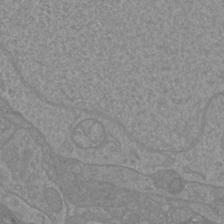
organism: Mouse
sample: Cortical neurons